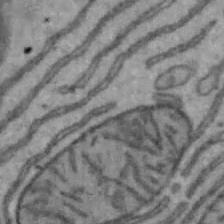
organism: Mouse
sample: Liver